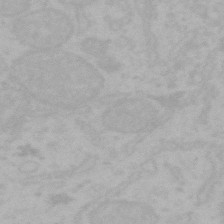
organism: Mouse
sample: Choroid plexus